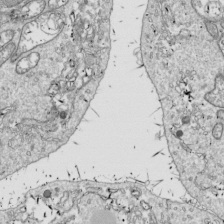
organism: Drosophila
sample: Cell division; meiosis; drosophila spermatocytes